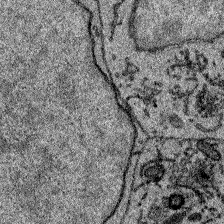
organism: Zebrafish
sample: Larval olfactory bulb